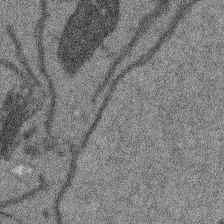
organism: Arabidopsis thaliana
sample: Root tip